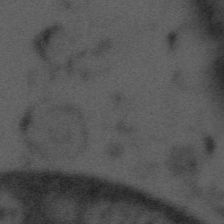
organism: Tuwongella immobilis